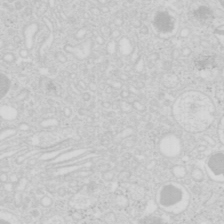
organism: Mouse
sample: Pancreas